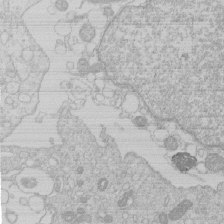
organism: Human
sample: Macrophage cells